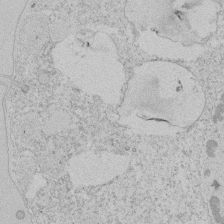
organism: Tetrahymena